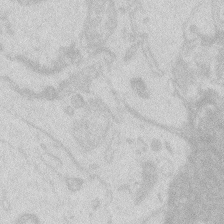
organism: Zebrafish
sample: Macrophage